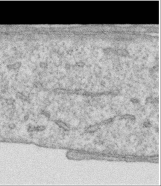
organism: Human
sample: Centriole in RPE cells